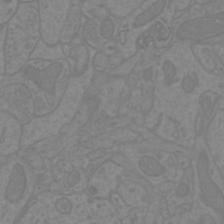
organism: Mouse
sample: Cortical neurons